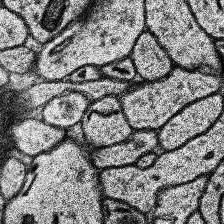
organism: Human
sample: Temporal Lobe